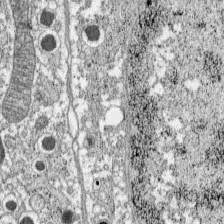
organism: C57BL Mouse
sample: Pancreatic islet